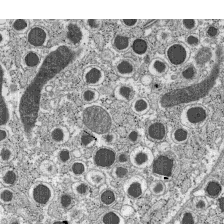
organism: C57BL Mouse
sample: Pancreatic islet